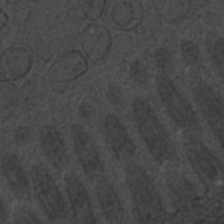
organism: C. elegans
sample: C. elegans embryo